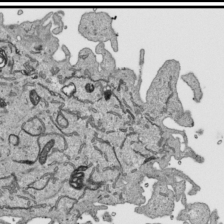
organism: Human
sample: Mitochondria in HCT116 cells